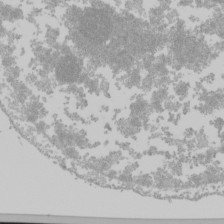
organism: Mouse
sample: Cancer cell death in ED-1 cells